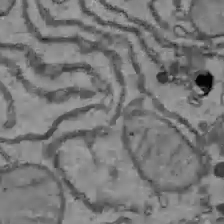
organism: C57BL Mouse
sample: Liver